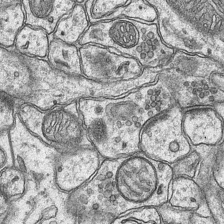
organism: Mouse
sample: CA1 Hippocampus